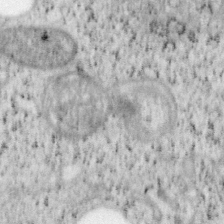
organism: Mouse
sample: OT-I killer T cells with ID8 ovarian cancer cells